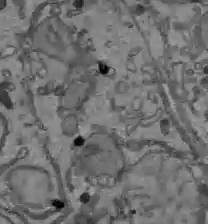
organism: C57BL Mouse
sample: Liver